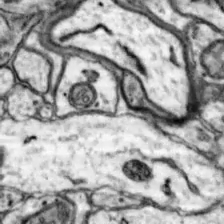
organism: Mouse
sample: Nucleus accumbens